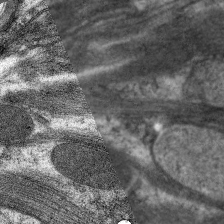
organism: C. elegans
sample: Pharynx